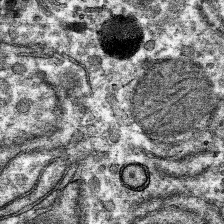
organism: Mouse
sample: Mouse hepatocytes